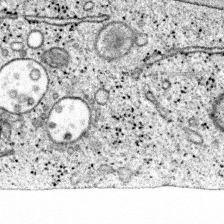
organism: Human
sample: HeLa cells